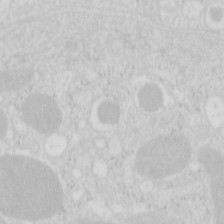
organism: Mouse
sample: Pancreas